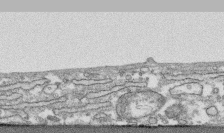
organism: Human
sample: CRL-1474